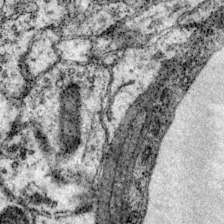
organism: Mouse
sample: Primary visual cortex